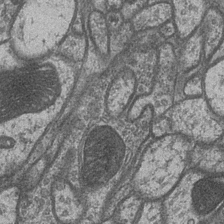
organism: Drosophila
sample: Optic medulla